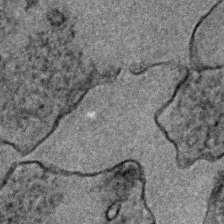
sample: Trachea